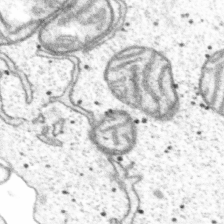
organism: Human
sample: HeLa cells